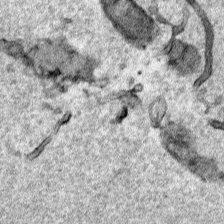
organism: Human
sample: Mitochondria in HCT116 cells